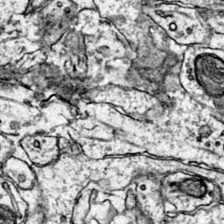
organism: Mouse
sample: Primary visual cortex